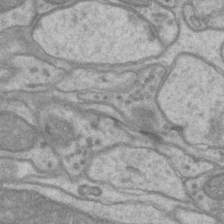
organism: Mouse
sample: CA1 Hippocampus